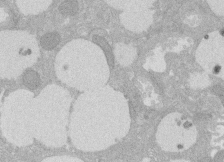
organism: Rat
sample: Salivary granule